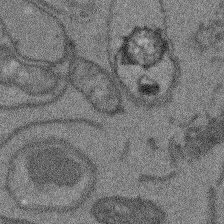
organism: Arabidopsis thaliana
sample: Root tip